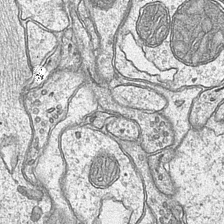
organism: Mouse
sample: CA1 Hippocampus